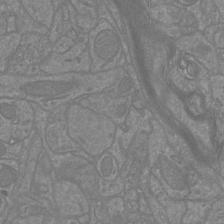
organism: Mouse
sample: Cortical neurons